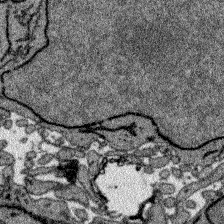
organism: Zebrafish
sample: Larval olfactory bulb